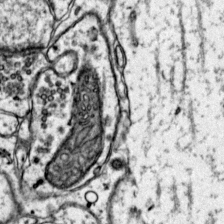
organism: Mouse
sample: Primary visual cortex